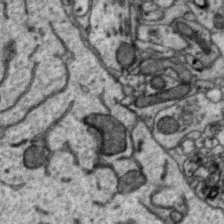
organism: Zebra finch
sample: Brain